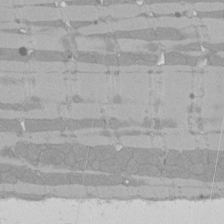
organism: Rat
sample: Left ventricle